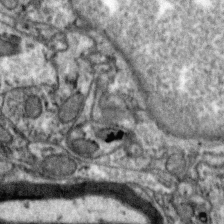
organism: Zebra finch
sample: Brain